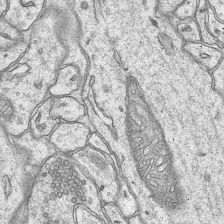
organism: Mouse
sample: CA1 Hippocampus